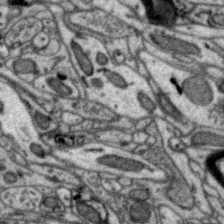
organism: Zebra finch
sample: Brain